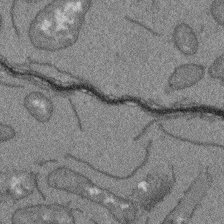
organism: Arabidopsis thaliana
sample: Root tip